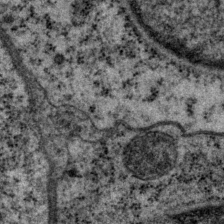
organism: P. pacificus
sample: Pharynx